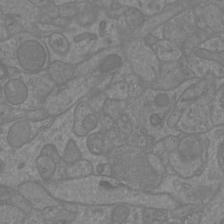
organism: Mouse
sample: Cortical neurons